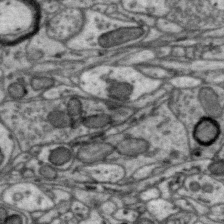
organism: Zebra finch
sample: Brain